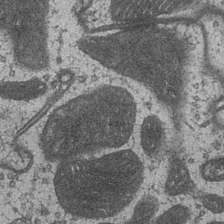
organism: Drosophila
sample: Optic medulla